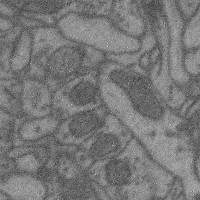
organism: Mouse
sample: Cerebral cortex